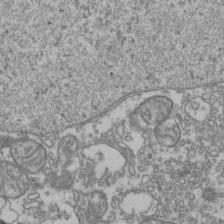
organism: Human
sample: Activated Jurkat CD4+ T cells